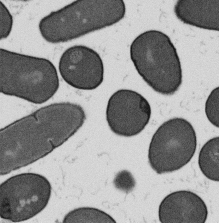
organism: B. subtilis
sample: Bacterial spore